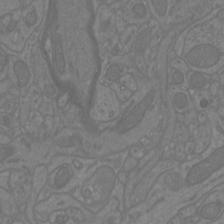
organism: Mouse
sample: Cortical neurons